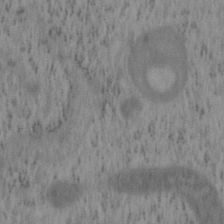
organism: Mouse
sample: OT-I killer T cells with ID8 ovarian cancer cells